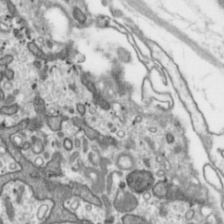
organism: Toxoplasma gondii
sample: Parasites in a vacuole inside a host cell